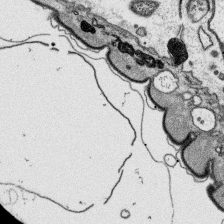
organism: Platynereis dumerilii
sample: Parapodia